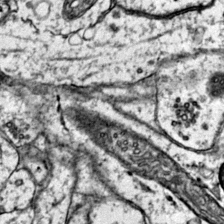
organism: Mouse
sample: Primary visual cortex